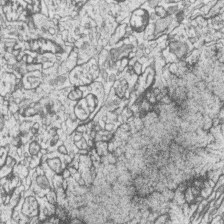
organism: Zebrafish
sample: synaptic ribbons in rod cells and cone cells